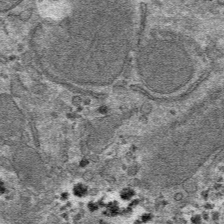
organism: Mouse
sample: Mouse hepatocytes